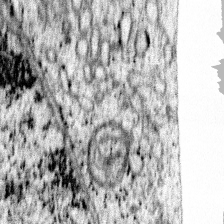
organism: Human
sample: HeLa cells